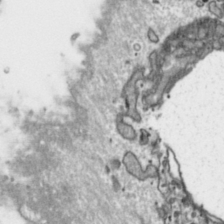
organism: Toxoplasma gondii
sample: Parasites in a vacuole inside a host cell